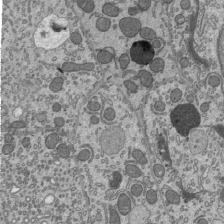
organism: Mouse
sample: Mouse epididymis efferent ductule cilia